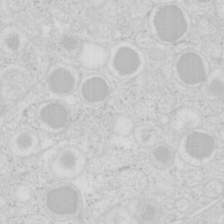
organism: Mouse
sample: Pancreas